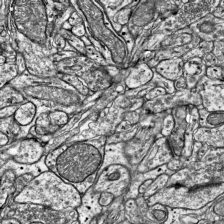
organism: Mouse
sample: Visual Cortex